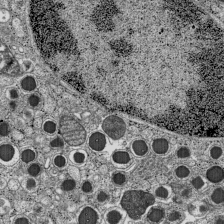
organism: C57BL Mouse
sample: Pancreatic islet